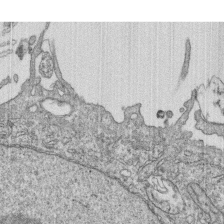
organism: Human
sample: HeLa cell HIV synapse